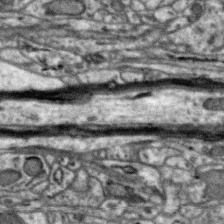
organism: Zebra finch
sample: Brain